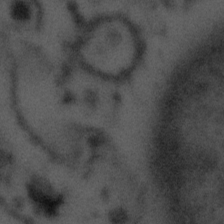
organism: Tuwongella immobilis